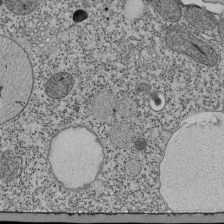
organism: Tetrahymena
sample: Cilia in tetrahymena